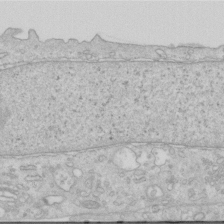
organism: Human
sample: Centriole in RPE cells